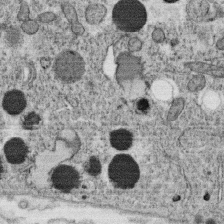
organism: C. elegans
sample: C. elegans oocyte; sperm cells